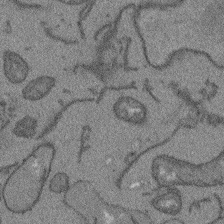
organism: Arabidopsis thaliana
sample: Root tip